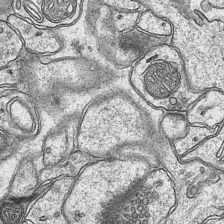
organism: Mouse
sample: CA1 Hippocampus